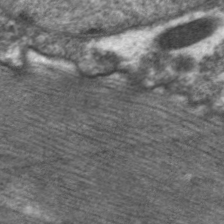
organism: C. elegans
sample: Pharynx